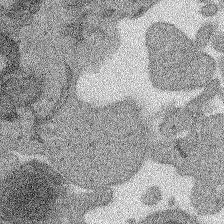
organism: Human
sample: HeLa cells